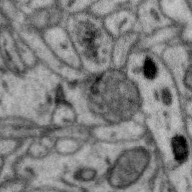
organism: Zebra finch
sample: Brain